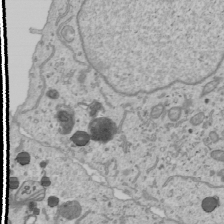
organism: Human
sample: Mitochondria in U2OS cells